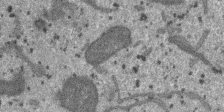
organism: Human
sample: Lung epithelial cells infected with SARS-CoV-2